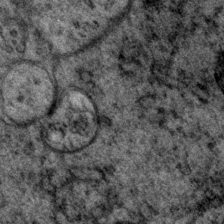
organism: P. pacificus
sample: Pharynx